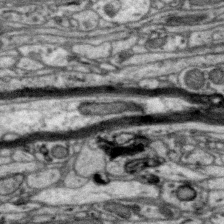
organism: Zebra finch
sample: Brain